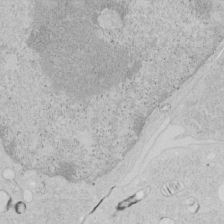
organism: Human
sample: Mitochondria in HCT116 cells